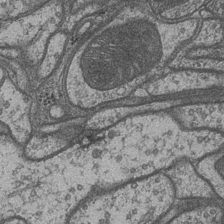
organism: Drosophila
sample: Optic medulla